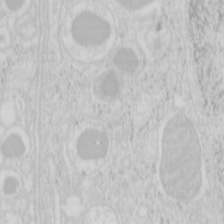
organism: Mouse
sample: Pancreas